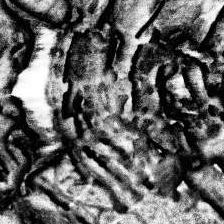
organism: Human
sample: Temporal Lobe